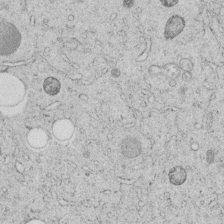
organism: C. elegans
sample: C. elegans embryo early stage